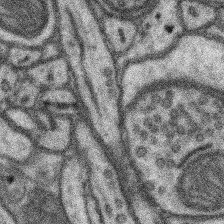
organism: Mouse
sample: Somatosensory cortex neuropil